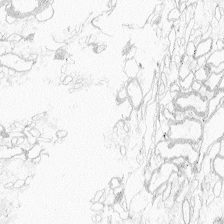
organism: Zebrafish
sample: Whole-Brain